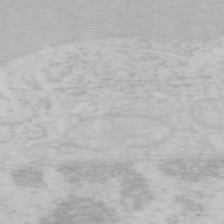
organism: Mouse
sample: OT-I killer T cells with ID8 ovarian cancer cells